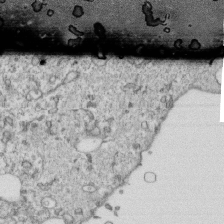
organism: Mouse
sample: Activated OT-1 CD8+ T cells